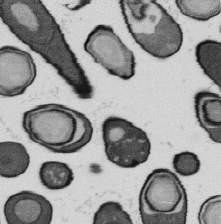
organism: B. subtilis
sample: Bacterial spore